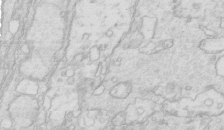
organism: Mouse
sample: Multiciliated cells